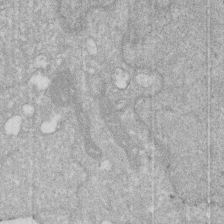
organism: Human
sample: HIV infected U937 cells